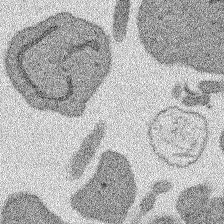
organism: Human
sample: HeLa cells